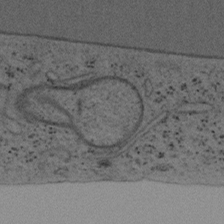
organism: Human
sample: HeLa cells